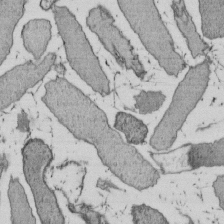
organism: E. coli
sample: Bacterial nucleoid